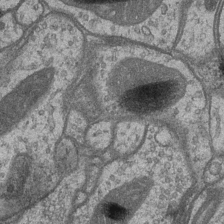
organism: Drosophila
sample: Optic medulla